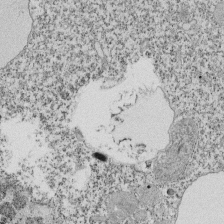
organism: Tetrahymena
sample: Cilia in tetrahymena